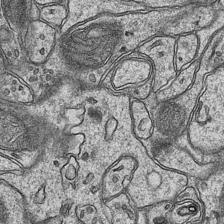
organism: Mouse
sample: CA1 Hippocampus